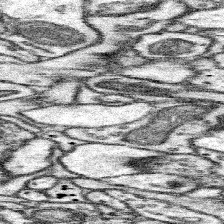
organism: Mouse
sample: Somatosensory cortex neuropil